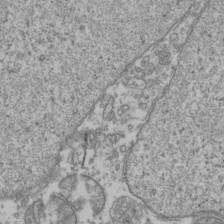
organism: Human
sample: Activated Jurkat CD4+ T cells